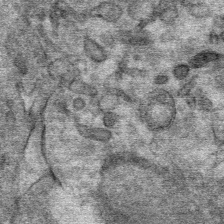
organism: Mouse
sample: Mouse Salivary gland